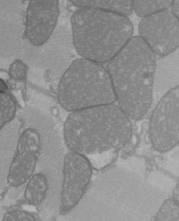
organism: C57BL Mouse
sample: Heart